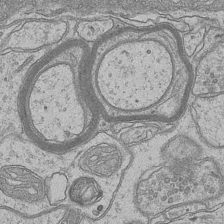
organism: Mouse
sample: CA1 Hippocampus